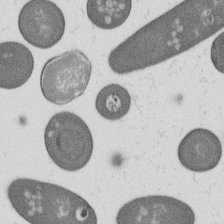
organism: B. subtilis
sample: Bacterial spore